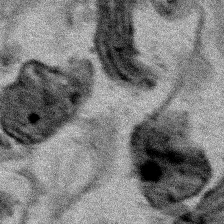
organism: Human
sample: Mitochondria in HCT116 cells